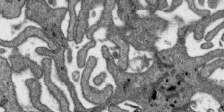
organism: Human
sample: Lung epithelial cells, uninfected (mock) control